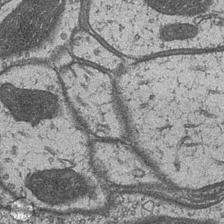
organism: Drosophila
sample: Optic medulla